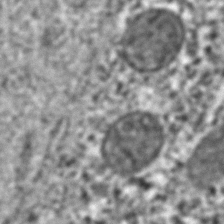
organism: C. elegans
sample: C. elegans embryo